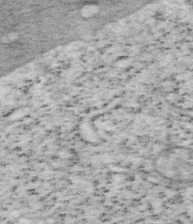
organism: Mouse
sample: OT-I killer T cells with ID8 ovarian cancer cells